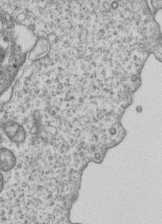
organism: Human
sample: MDA-MB-231 cells